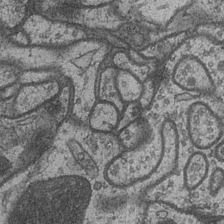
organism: Drosophila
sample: Optic medulla